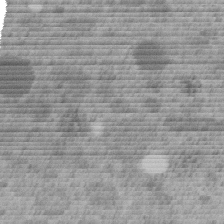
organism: C. elegans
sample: C. elegans embryo early stage